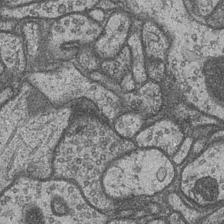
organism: Drosophila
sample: Optic medulla